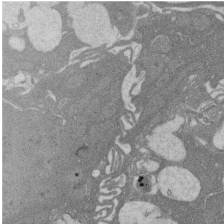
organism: Rat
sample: Salivary granule